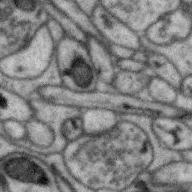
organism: Zebra finch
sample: Brain